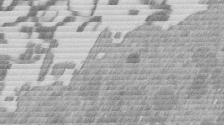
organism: Mouse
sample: Dividing mouse embryo 1 cell stage